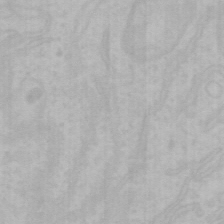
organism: Mouse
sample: Choroid plexus